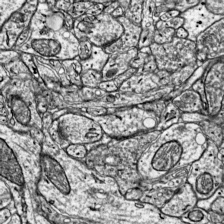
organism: Mouse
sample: Visual Cortex